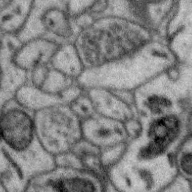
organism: Zebra finch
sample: Brain